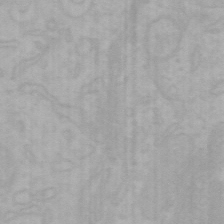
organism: Mouse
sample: Choroid plexus